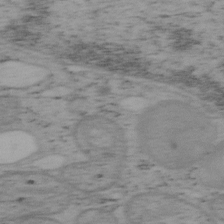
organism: Mouse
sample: OT-I killer T cells with ID8 ovarian cancer cells